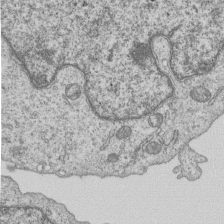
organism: Human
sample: MDA-MB-231 cells